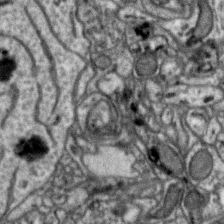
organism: Zebra finch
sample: Brain